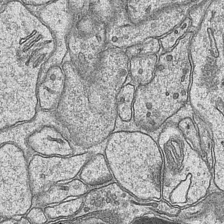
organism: Mouse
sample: CA1 Hippocampus